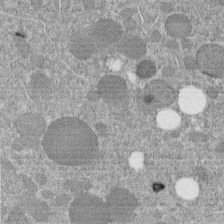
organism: C. elegans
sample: C. elegans embryo early stage